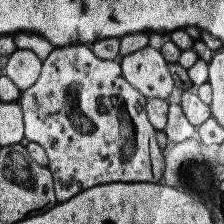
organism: Human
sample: Temporal Lobe